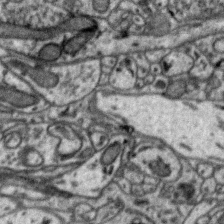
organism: Zebra finch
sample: Brain